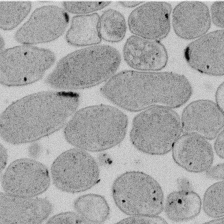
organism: E. coli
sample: Bacterial nucleoid